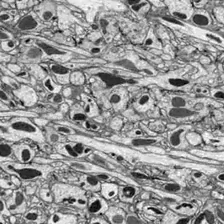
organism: Drosophila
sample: Optic lobe